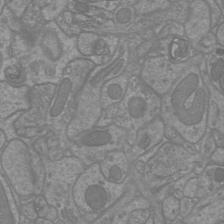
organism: Mouse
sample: Cortical neurons